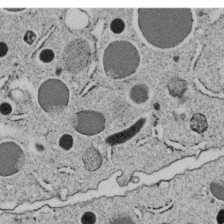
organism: C. elegans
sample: C. elegans embryo early stage